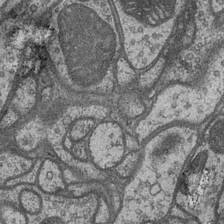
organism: Drosophila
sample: Optic medulla